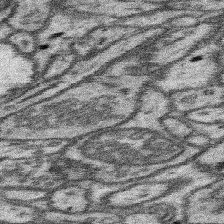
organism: Mouse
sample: Somatosensory cortex neuropil